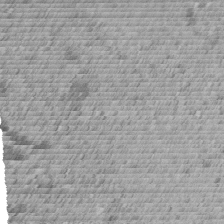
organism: C. elegans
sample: C. elegans embryo early stage